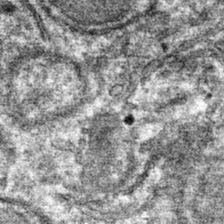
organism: Mouse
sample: Mouse hepatocytes